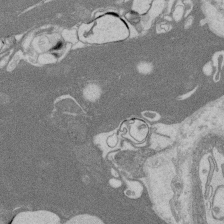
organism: Rat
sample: Salivary granule